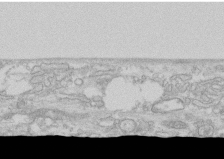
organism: Human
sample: CRL-1474